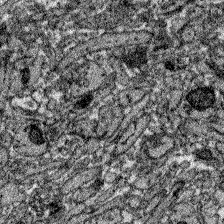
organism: Zebrafish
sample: Larval olfactory bulb